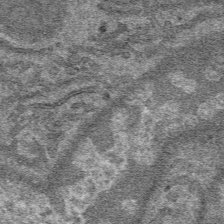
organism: Mouse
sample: Mouse hepatocytes